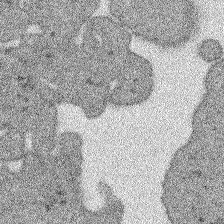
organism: Human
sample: HeLa cells